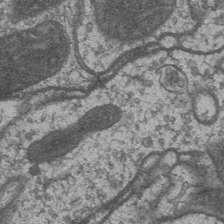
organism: Drosophila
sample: Optic medulla